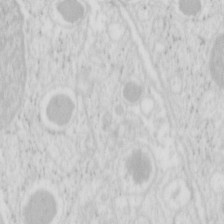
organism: Mouse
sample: Pancreas